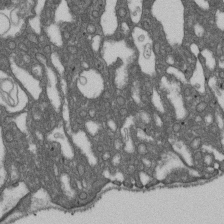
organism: Drosophila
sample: Nephrocyte